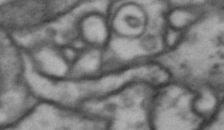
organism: Drosophila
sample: Brain